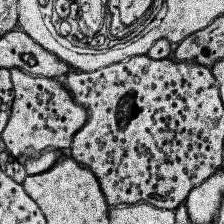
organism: Human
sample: Temporal Lobe